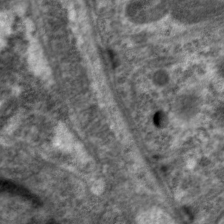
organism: C. elegans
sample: Pharynx